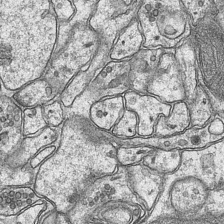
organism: Mouse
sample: CA1 Hippocampus